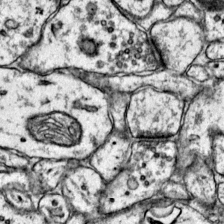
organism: Mouse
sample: Primary visual cortex